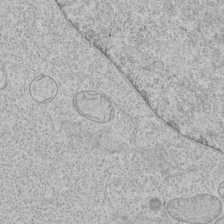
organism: Human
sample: Mitochondria in HCT116 cells